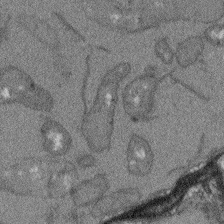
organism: Arabidopsis thaliana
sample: Root tip